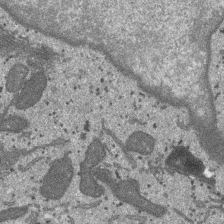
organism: Human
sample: Lung epithelial cells infected with SARS-CoV-2